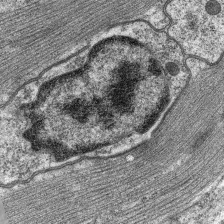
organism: C. elegans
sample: Pharynx